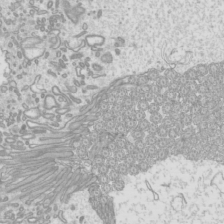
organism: Mouse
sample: Cilia; mouse epididymis